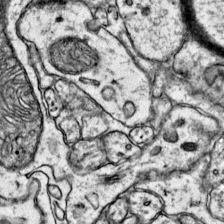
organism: Mouse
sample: Primary visual cortex